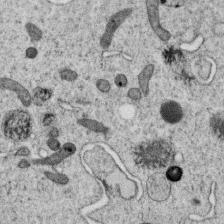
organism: C. elegans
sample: C. elegans oocyte; sperm cells